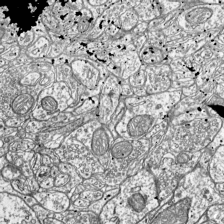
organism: Mouse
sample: Visual Cortex